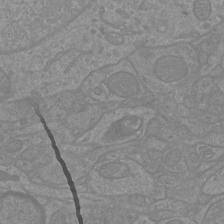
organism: Mouse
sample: Cortical neurons